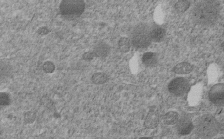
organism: C. elegans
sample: C. elegans embryo early stage